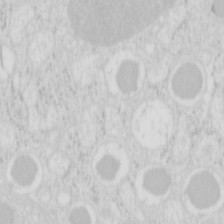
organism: Mouse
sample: Pancreas